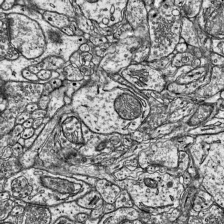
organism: Mouse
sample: Visual Cortex